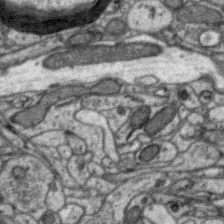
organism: Zebra finch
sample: Brain